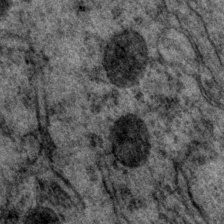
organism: P. pacificus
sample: Pharynx